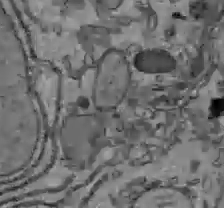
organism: C57BL Mouse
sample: Liver